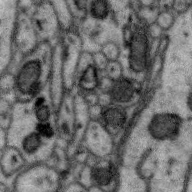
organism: Zebra finch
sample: Brain